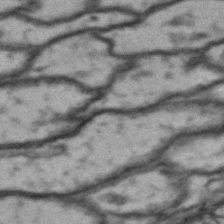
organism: Drosophila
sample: Brain